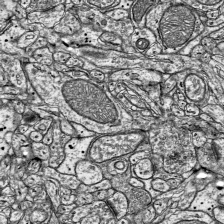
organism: Mouse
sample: Visual Cortex